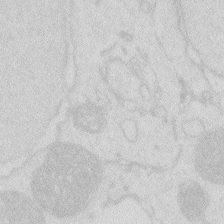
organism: Zebrafish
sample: Macrophage